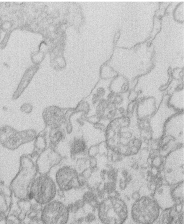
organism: Human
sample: Macrophage cells